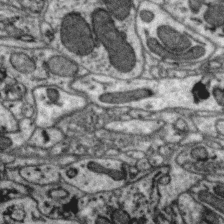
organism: Zebra finch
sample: Brain